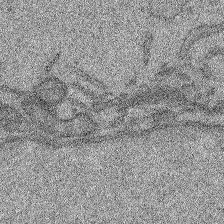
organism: Human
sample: HeLa cells